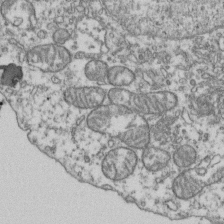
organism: Human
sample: Activated Jurkat CD4+ T cells